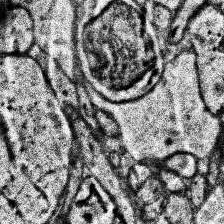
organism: Human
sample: Temporal Lobe